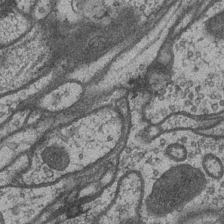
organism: Drosophila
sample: Optic medulla